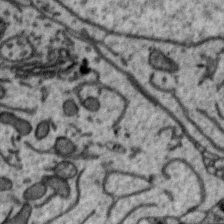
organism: Zebra finch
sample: Brain